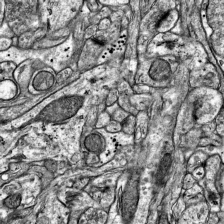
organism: Mouse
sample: Visual Cortex